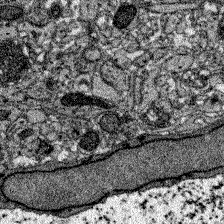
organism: Zebrafish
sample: Larval olfactory bulb